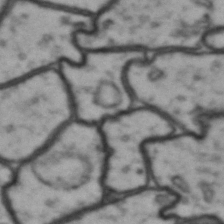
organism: Drosophila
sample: Brain